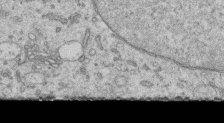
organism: Human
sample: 1205lu cells